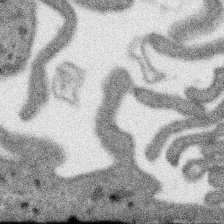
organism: Human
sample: Lung epithelial cells infected with SARS-CoV-2